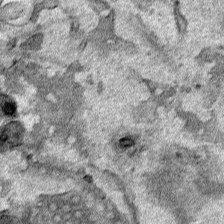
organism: Human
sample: Mitochondria in HCT116 cells